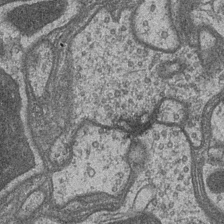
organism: Drosophila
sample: Optic medulla